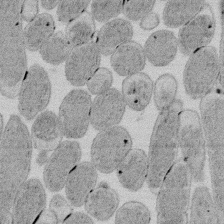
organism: E. coli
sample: Bacterial nucleoid